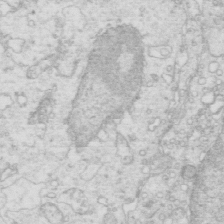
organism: Mouse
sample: Multiciliated cells